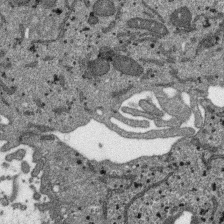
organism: Human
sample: Lung epithelial cells infected with SARS-CoV-2